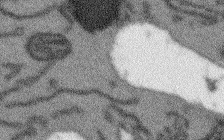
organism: Arabidopsis thaliana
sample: Root tip